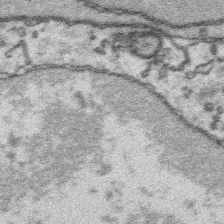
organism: Platynereis dumerilii